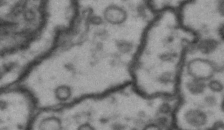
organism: Drosophila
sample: Brain